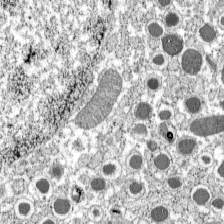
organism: C57BL Mouse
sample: Pancreatic islet